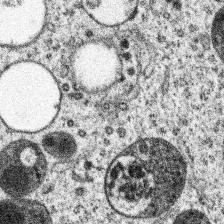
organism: Human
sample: HeLa cells